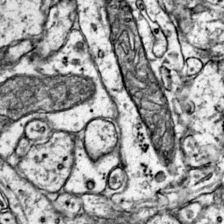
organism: Mouse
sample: Primary visual cortex